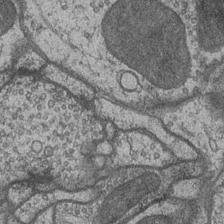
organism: Drosophila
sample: Optic medulla